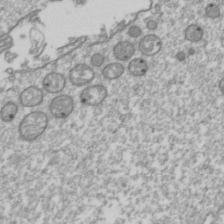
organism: Drosophila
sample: Cell division; meiosis; drosophila spermatocytes